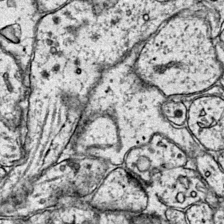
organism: Mouse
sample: Primary visual cortex